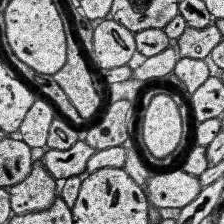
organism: Human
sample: Temporal Lobe